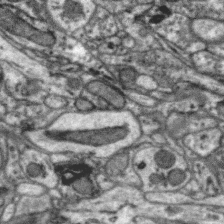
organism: Zebra finch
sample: Brain